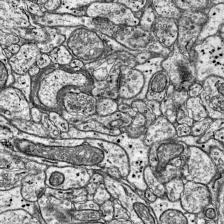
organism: Mouse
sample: Visual Cortex